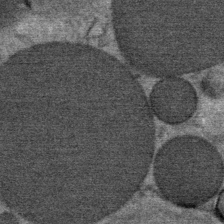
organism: Mouse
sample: Mouse Salivary gland